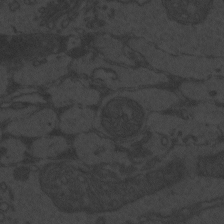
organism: Zebrafish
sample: Macrophage infected with Toxoplasma gondii